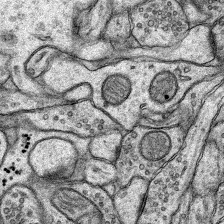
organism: Rat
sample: Hippocampus